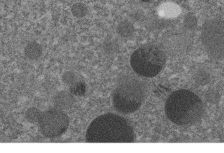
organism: C. elegans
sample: C. elegans embryo early stage